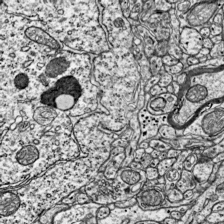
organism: Mouse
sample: Visual Cortex